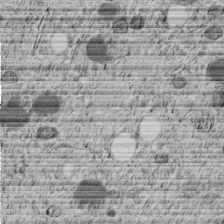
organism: C. elegans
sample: C. elegans embryo early stage